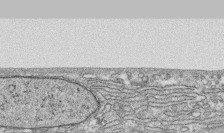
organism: Human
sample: CRL-1474